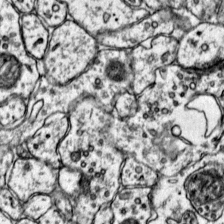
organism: Mouse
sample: Primary visual cortex